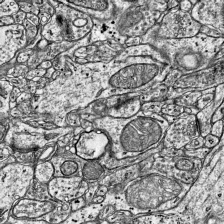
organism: Mouse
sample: Visual Cortex